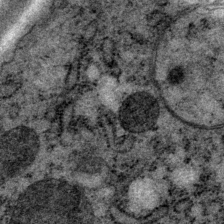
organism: P. pacificus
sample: Pharynx